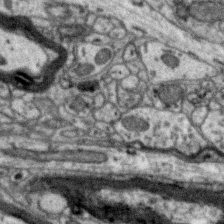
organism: Zebra finch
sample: Brain